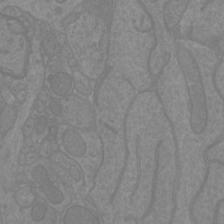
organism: Mouse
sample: Cortical neurons